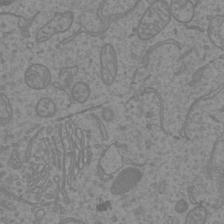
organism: Mouse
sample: Cortical neurons